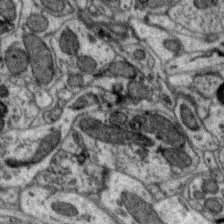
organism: Zebra finch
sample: Brain